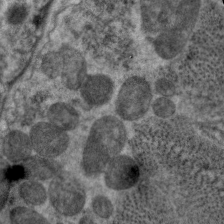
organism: C. elegans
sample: Pharynx